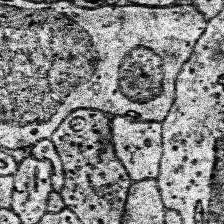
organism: Human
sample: Temporal Lobe